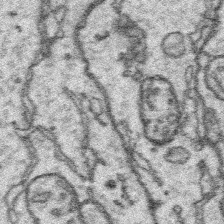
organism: Platynereis dumerilii